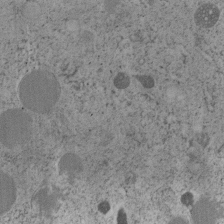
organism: C. elegans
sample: C. elegans embryo early stage